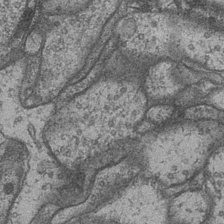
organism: Drosophila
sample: Optic medulla